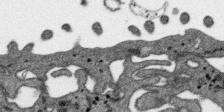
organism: Human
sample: Lung epithelial cells, uninfected (mock) control